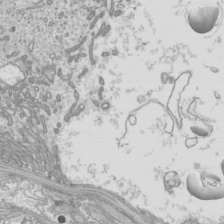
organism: Mouse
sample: Cilia; mouse epididymis